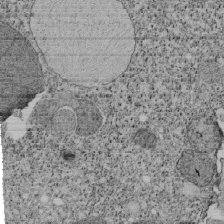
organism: Tetrahymena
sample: Cilia in tetrahymena